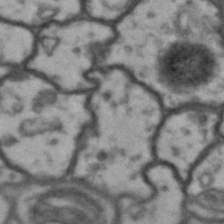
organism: Drosophila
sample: Brain